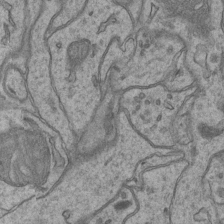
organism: Mouse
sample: CA1 Hippocampus